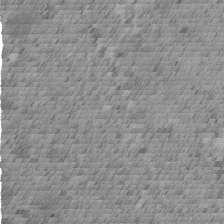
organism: C. elegans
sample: C. elegans embryo early stage